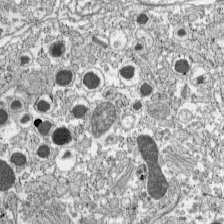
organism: C57BL Mouse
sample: Pancreatic islet